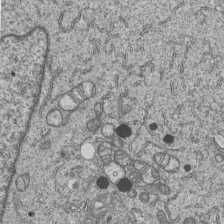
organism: Human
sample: MDA-MB-231 cells